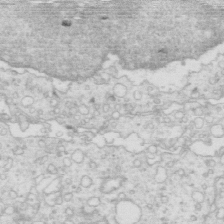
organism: Mouse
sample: Multiciliated cells